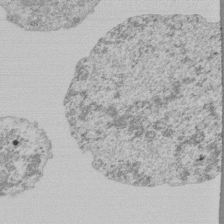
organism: Mouse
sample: Activated Pmel transgenic CD8+ T Cells